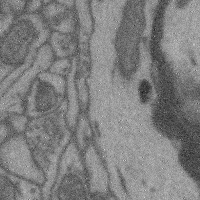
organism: Mouse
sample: Cerebral cortex